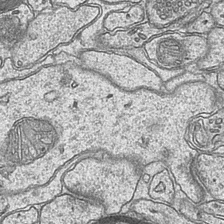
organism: Mouse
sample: CA1 Hippocampus